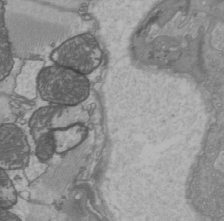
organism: C57BL Mouse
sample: Heart